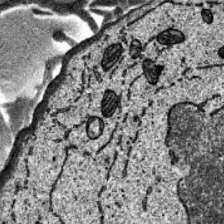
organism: Human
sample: HeLa cells